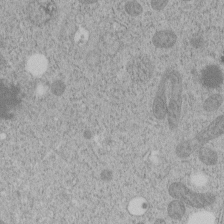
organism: C. elegans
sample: C. elegans embryo early stage